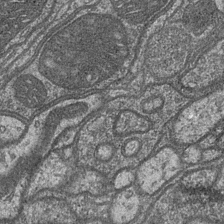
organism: Drosophila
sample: Optic medulla